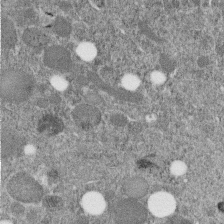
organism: C. elegans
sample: C. elegans embryo early stage